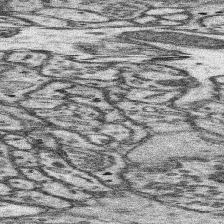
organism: Mouse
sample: Somatosensory cortex neuropil